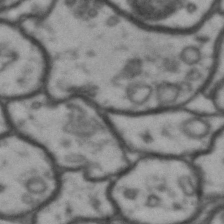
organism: Drosophila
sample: Brain